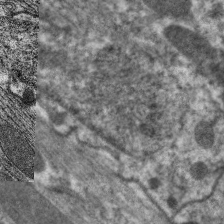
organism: C. elegans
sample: Pharynx